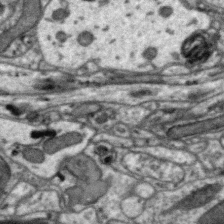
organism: Zebra finch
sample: Brain